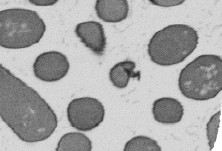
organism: B. subtilis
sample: Bacterial spore